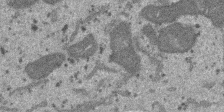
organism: Human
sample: Lung epithelial cells infected with SARS-CoV-2